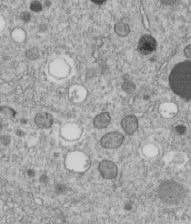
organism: C. elegans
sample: C. elegans embryo early stage